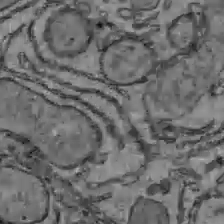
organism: C57BL Mouse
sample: Liver